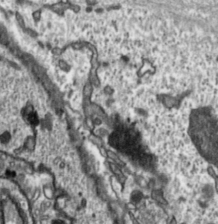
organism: Toxoplasma gondii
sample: Parasites in a vacuole inside a host cell